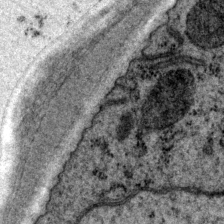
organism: P. pacificus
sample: Pharynx